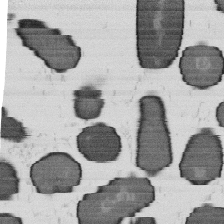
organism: B. subtilis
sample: Bacterial spore